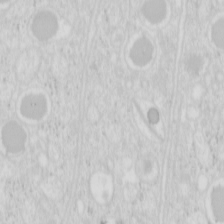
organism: Mouse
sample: Pancreas